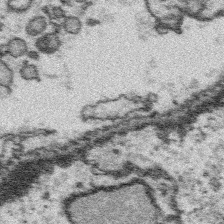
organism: Platynereis dumerilii